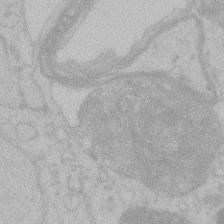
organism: Zebrafish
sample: Macrophage infected with Toxoplasma gondii